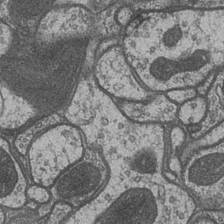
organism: Drosophila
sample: Optic medulla